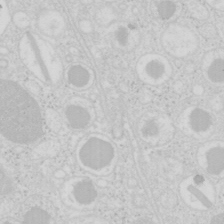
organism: Mouse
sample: Pancreas